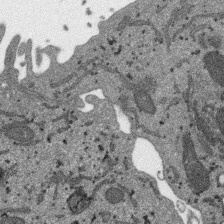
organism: Human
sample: Lung epithelial cells infected with SARS-CoV-2